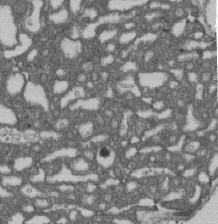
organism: Drosophila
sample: Nephrocyte